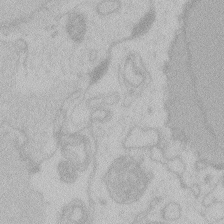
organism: Zebrafish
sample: Macrophage infected with Toxoplasma gondii